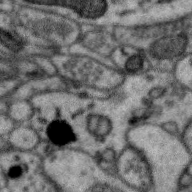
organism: Zebra finch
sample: Brain